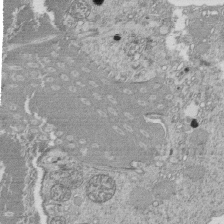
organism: Tetrahymena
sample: Cilia in tetrahymena